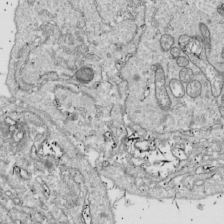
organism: Drosophila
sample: Cell division; meiosis; drosophila spermatocytes